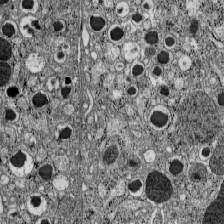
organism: C57BL Mouse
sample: Pancreatic islet